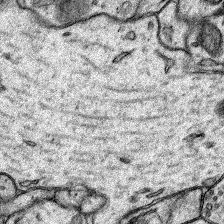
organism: Rat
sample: Hippocampus